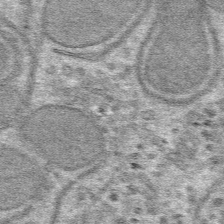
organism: Mouse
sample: Mouse hepatocytes